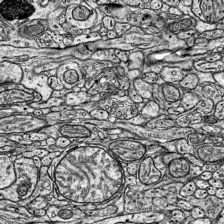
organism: Mouse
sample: Visual Cortex